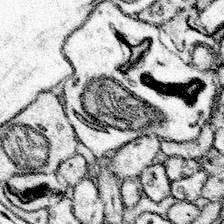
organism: Mouse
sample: Somatosensory cortex neuropil